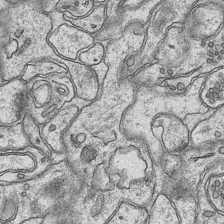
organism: Mouse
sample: CA1 Hippocampus